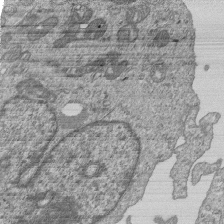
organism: Human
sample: MDA-MB-231 cells